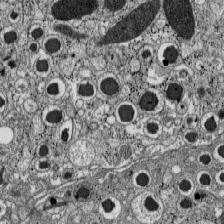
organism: C57BL Mouse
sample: Pancreatic islet